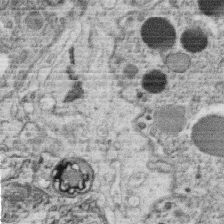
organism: C. elegans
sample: C. elegans oocyte; sperm cells